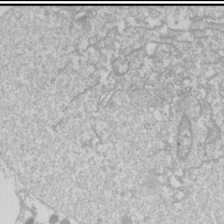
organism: Drosophila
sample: Cell division; meiosis; drosophila spermatocytes